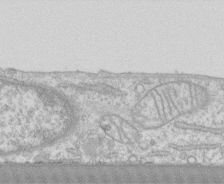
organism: Human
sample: CRL-1474